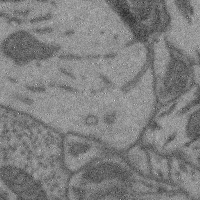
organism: Mouse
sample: Cerebral cortex